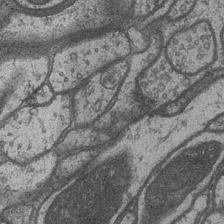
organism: Drosophila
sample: Optic medulla